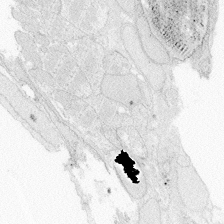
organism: Zebrafish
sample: Whole-Brain